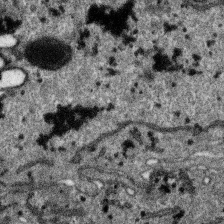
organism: Human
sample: Lung epithelial cells infected with SARS-CoV-2